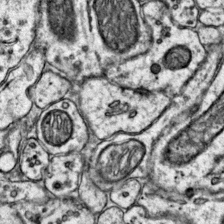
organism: Mouse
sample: Primary visual cortex